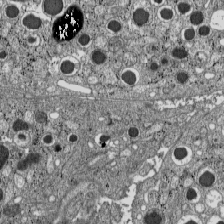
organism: C57BL Mouse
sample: Pancreatic islet